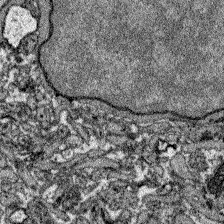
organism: Zebrafish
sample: Larval olfactory bulb